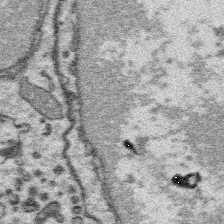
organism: Platynereis dumerilii